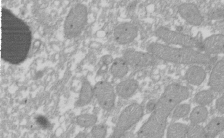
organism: Xenopus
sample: Cilia; centrioles in frog embryo cells